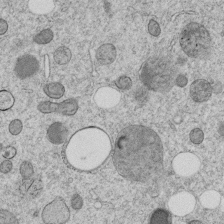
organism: C. elegans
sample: C. elegans embryo early stage